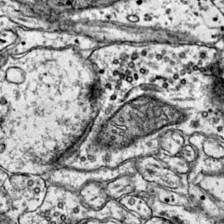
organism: Mouse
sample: Primary visual cortex